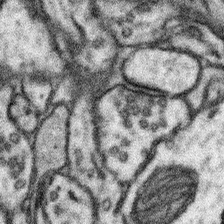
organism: Mouse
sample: Somatosensory cortex neuropil